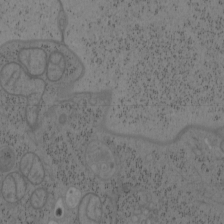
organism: Mouse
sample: OT-I killer T cells with ID8 ovarian cancer cells